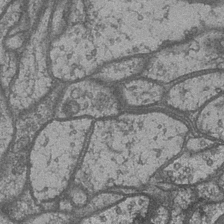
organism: Drosophila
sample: Optic medulla